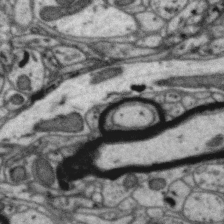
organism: Zebra finch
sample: Brain